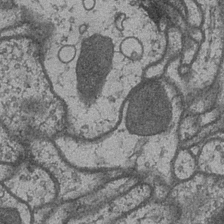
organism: Drosophila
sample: Optic medulla